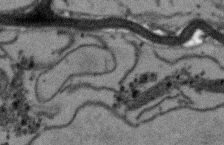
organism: Arabidopsis thaliana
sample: Root tip